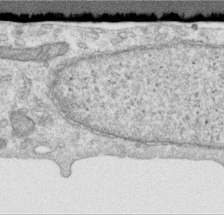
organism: Human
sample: Centriole in RPE cells